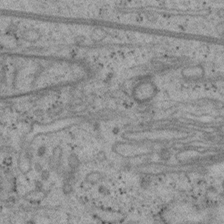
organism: Human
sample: HeLa cells